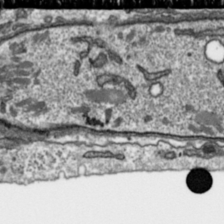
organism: Toxoplasma gondii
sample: Parasites in a vacuole inside a host cell